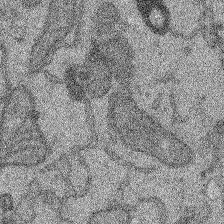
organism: Human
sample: HeLa cells